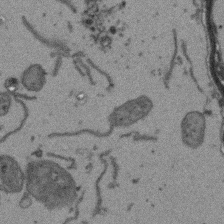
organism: Arabidopsis thaliana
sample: Root tip